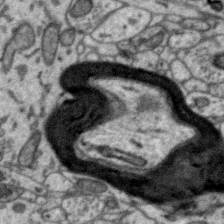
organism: Zebra finch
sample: Brain